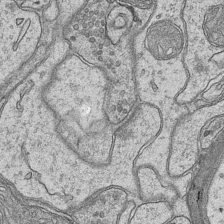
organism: Mouse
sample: CA1 Hippocampus